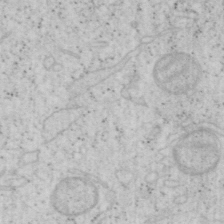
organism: Human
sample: HeLa cells